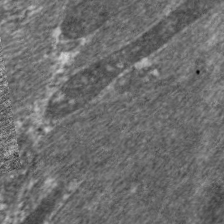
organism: C. elegans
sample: Pharynx